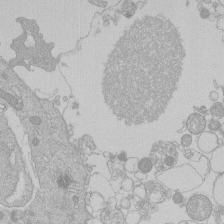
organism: Human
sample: Macrophage cells